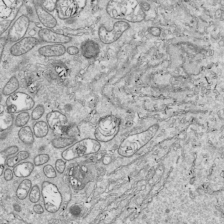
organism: Drosophila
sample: Cell division; meiosis; drosophila spermatocytes